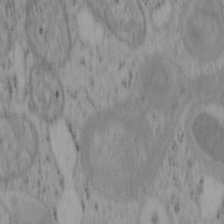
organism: Mouse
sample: OT-I killer T cells with ID8 ovarian cancer cells